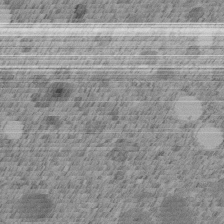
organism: C. elegans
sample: C. elegans embryo early stage